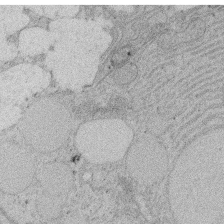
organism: Rat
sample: Salivary granule